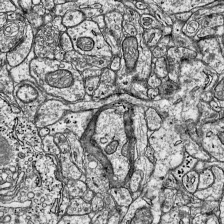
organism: Mouse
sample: Visual Cortex